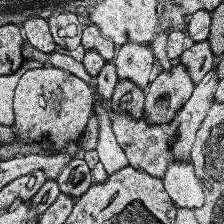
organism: Human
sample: Temporal Lobe